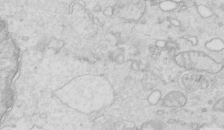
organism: Mouse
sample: Multiciliated cells